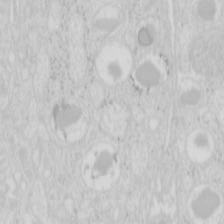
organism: Mouse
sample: Pancreas